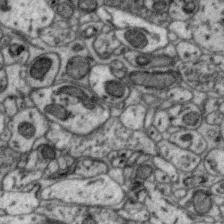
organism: Zebra finch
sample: Brain